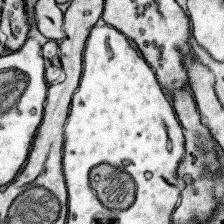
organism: Mouse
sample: Somatosensory cortex neuropil